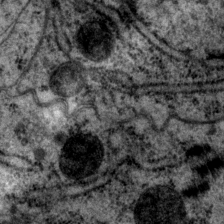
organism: P. pacificus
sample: Pharynx